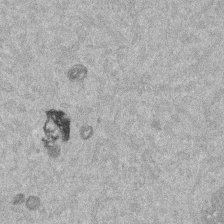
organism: Mouse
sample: Dividing mouse embryo 1 cell stage